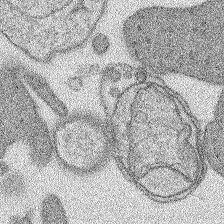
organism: Human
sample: HeLa cells